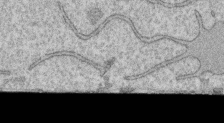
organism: Human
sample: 1205lu cells